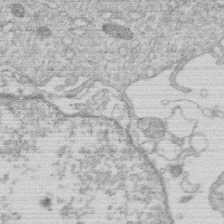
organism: Human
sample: Macrophage cells